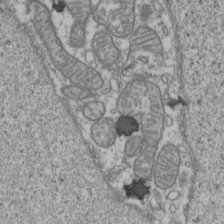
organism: Human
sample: Activated Jurkat CD4+ T cells